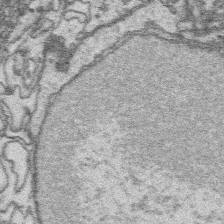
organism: Platynereis dumerilii